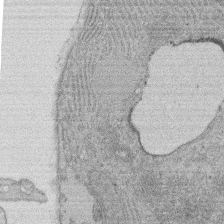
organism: Rat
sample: Salivary granule